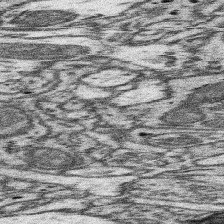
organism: Mouse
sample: Somatosensory cortex neuropil